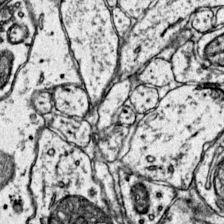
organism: Mouse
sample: Primary visual cortex